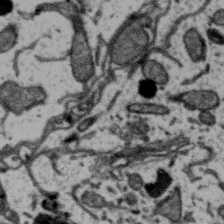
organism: Zebra finch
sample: Brain